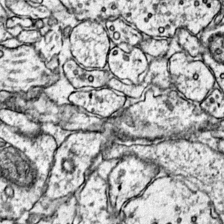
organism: Mouse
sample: Primary visual cortex